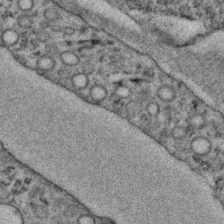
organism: C. elegans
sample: C. elegans embryo